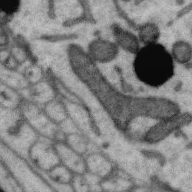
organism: Zebra finch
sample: Brain